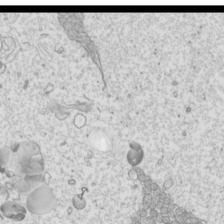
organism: Mouse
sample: Cilia; mouse epididymis